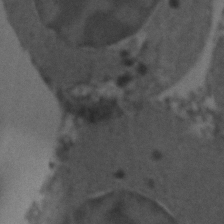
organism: Zebrafish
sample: Zebrafish embryo